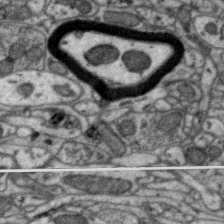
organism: Zebra finch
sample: Brain